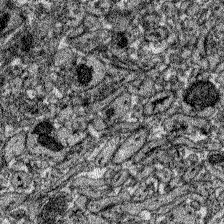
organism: Zebrafish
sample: Larval olfactory bulb